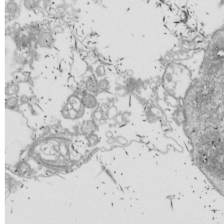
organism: Drosophila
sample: Cell division; meiosis; drosophila spermatocytes